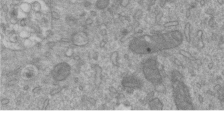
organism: Mouse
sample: ED-1 cell nuclei; centrioles